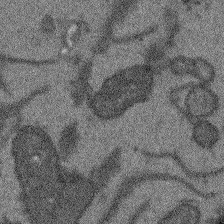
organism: Arabidopsis thaliana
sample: Root tip